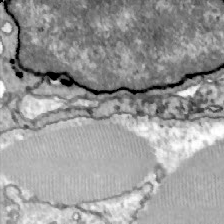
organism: Zebrafish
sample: Actinotrichia fibers